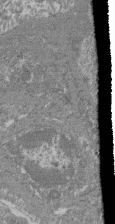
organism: Mouse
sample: Glomerulus